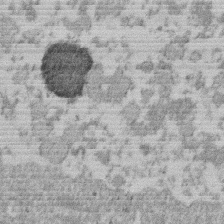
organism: Mouse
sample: Dividing mouse embryo 1 cell stage